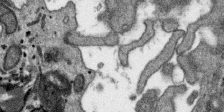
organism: Human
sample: Lung epithelial cells, uninfected (mock) control